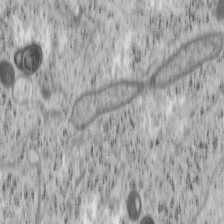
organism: Human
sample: HeLa cells